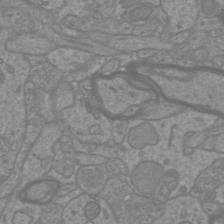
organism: Mouse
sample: Cortical neurons